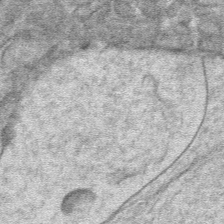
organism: Mouse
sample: Mouse hepatocytes